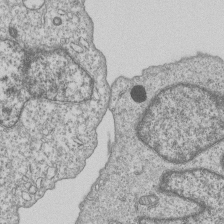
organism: Human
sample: MDA-MB-231 cells